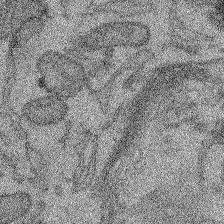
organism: Human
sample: HeLa cells